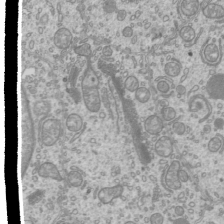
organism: Mouse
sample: Cilia; mouse epididymis